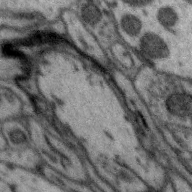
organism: Zebra finch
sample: Brain